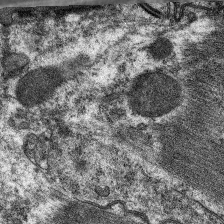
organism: C. elegans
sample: Pharynx